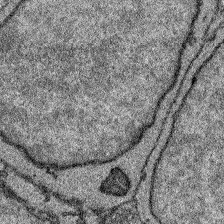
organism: Zebrafish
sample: Larval olfactory bulb